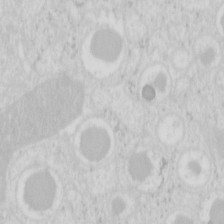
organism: Mouse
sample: Pancreas